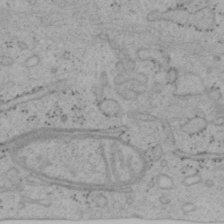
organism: Human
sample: HeLa cells